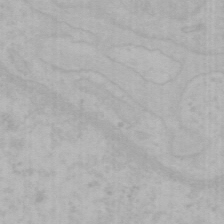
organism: Mouse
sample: Choroid plexus